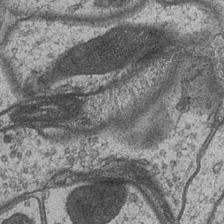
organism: Drosophila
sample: Optic medulla